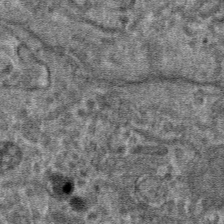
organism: Mouse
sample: Mouse hepatocytes